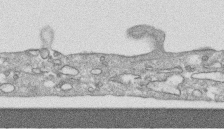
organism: Human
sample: CRL-1474